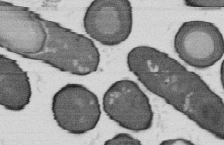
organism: B. subtilis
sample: Bacterial spore